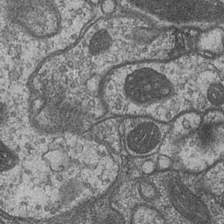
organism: Drosophila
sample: Optic medulla